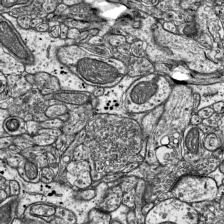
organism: Mouse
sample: Visual Cortex